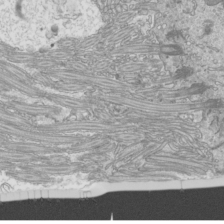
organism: Mouse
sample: Cilia; mouse epididymis